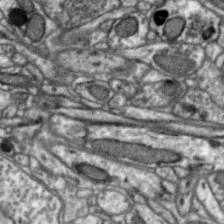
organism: Zebra finch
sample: Brain